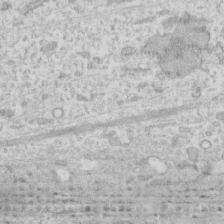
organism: Human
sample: Fibroblast cells